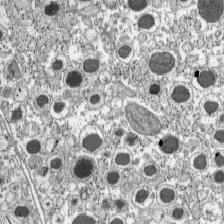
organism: C57BL Mouse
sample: Pancreatic islet